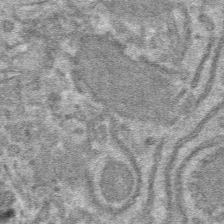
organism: Mouse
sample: Mouse hepatocytes